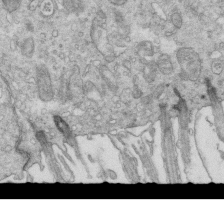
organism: Mouse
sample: Multiciliated cells